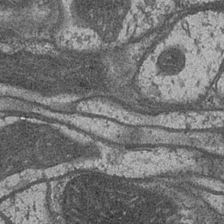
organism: Drosophila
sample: Optic medulla